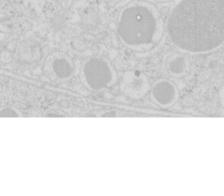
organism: Mouse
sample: Pancreas